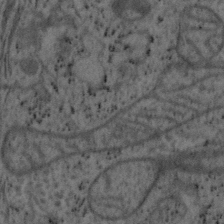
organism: Human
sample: HeLa cells